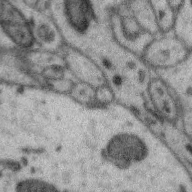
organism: Zebra finch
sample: Brain